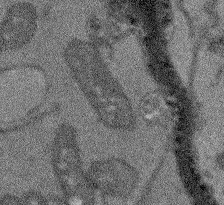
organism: Arabidopsis thaliana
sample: Root tip